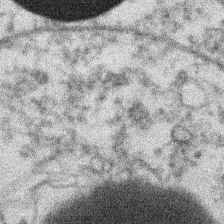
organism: Xenopus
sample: Cilia; centrioles in frog embryo cells